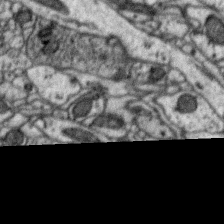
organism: Zebra finch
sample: Brain